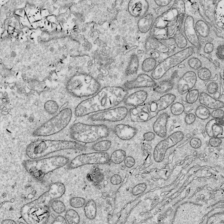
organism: Drosophila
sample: Cell division; meiosis; drosophila spermatocytes